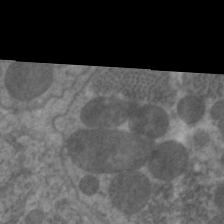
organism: C. elegans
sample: Pharynx